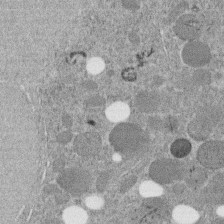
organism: C. elegans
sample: C. elegans embryo early stage